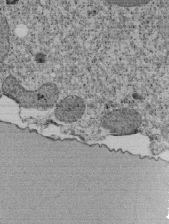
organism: Tetrahymena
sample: Cilia in tetrahymena